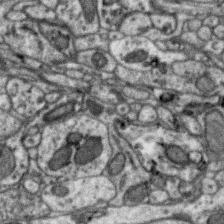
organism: Zebra finch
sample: Brain